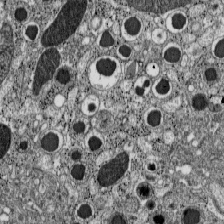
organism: C57BL Mouse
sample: Pancreatic islet